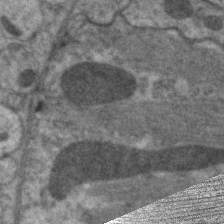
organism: C. elegans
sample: Pharynx